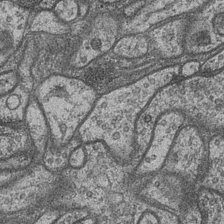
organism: Drosophila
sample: Optic medulla